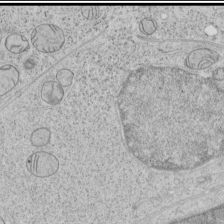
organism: Human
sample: Mitochondria in HCT116 cells